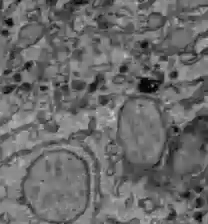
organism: C57BL Mouse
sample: Liver